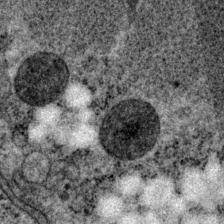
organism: P. pacificus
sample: Pharynx